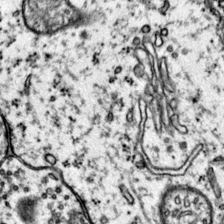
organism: Mouse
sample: Primary visual cortex